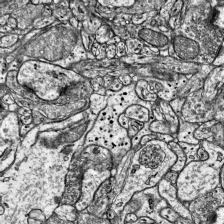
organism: Mouse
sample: Visual Cortex